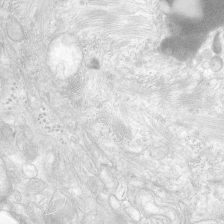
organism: Human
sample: Neocortex